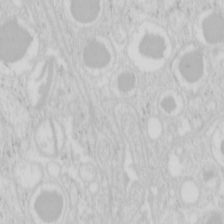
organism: Mouse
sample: Pancreas